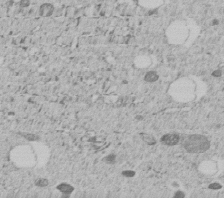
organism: C. elegans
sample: C. elegans embryo early stage